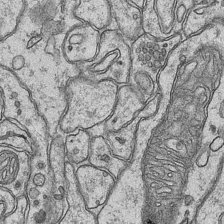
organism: Mouse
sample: CA1 Hippocampus